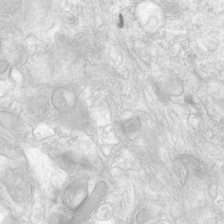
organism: Human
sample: Neocortex